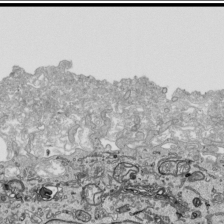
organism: Human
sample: Mitochondria in HCT116 cells